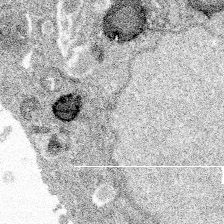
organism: Spongilla lacustris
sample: Multiple